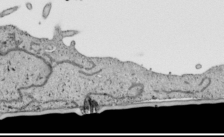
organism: Human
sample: Mitochondria in HCT116 cells